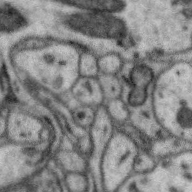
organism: Zebra finch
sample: Brain